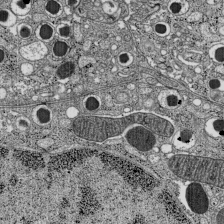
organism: C57BL Mouse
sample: Pancreatic islet